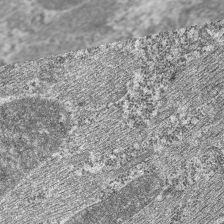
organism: C. elegans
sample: Pharynx